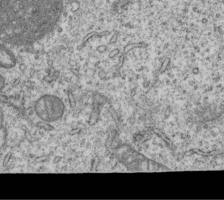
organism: Human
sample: MDA-MB-231 cells